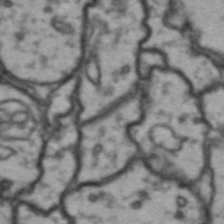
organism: Drosophila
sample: Brain